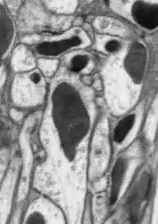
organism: Drosophila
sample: Optic lobe